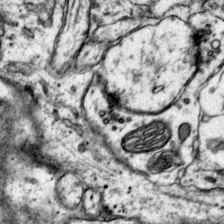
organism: Mouse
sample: Primary visual cortex